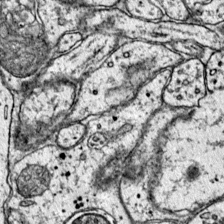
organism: Mouse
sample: Primary visual cortex